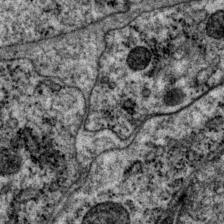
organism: P. pacificus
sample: Pharynx